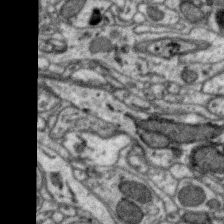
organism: Zebra finch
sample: Brain